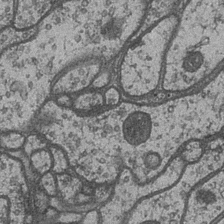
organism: Drosophila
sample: Optic medulla